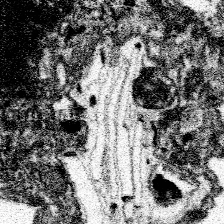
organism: Spongilla lacustris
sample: Neuroid cell